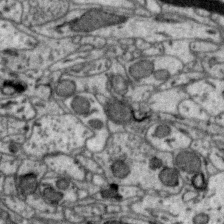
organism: Zebra finch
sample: Brain